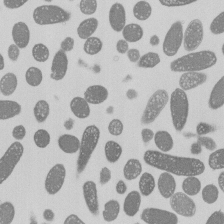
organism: E. coli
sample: Bacterial nucleoid